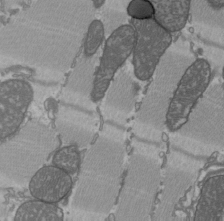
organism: C57BL Mouse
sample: Heart